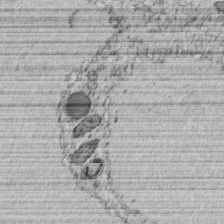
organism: C. elegans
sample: C. elegans embryo early stage